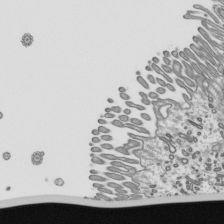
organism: Mouse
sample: Mouse epididymis efferent ductule cilia